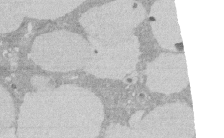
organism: Rat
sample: Salivary granule